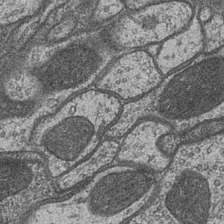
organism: Drosophila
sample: Optic medulla